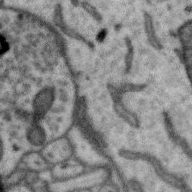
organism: Zebra finch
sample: Brain